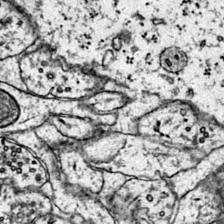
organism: Mouse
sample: Primary visual cortex